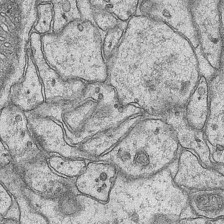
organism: Mouse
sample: CA1 Hippocampus